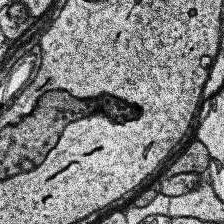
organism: Human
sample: Temporal Lobe